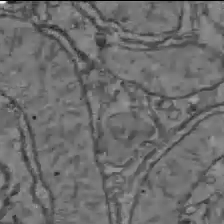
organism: C57BL Mouse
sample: Liver